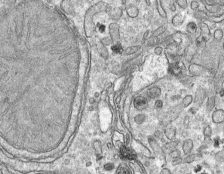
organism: Mouse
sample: Mouse hepatocytes